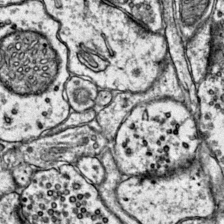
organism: Mouse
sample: Primary visual cortex